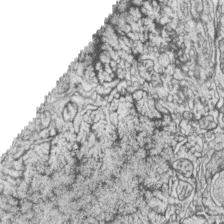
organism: Zebrafish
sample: synaptic ribbons in rod cells and cone cells